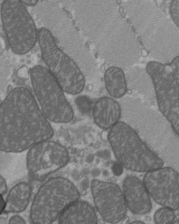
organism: C57BL Mouse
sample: Heart